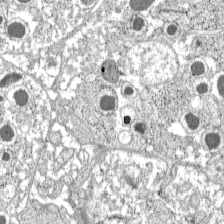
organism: C57BL Mouse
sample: Pancreatic islet